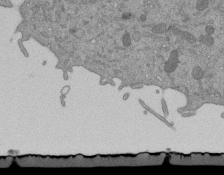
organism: Mouse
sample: ED-1 cell nuclei; centrioles